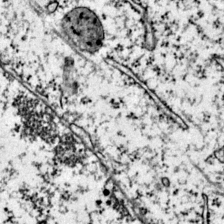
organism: Mouse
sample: Primary visual cortex